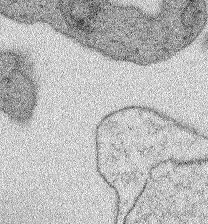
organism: Human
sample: HeLa cells